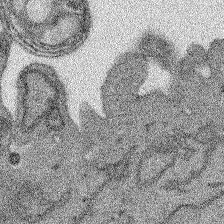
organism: Human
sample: HeLa cells